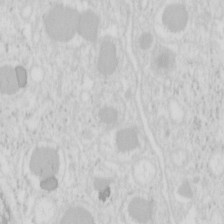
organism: Mouse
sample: Pancreas